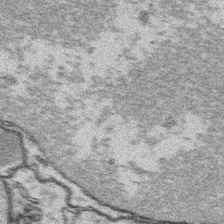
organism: Platynereis dumerilii